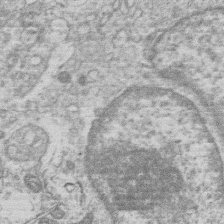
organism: Human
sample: Macrophage cells